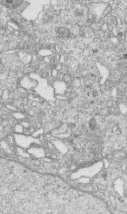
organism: Human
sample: HeLa cell HIV synapse